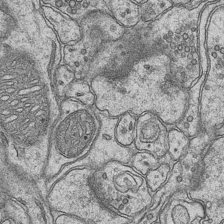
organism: Mouse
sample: CA1 Hippocampus